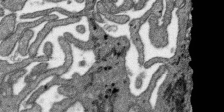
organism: Human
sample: Lung epithelial cells, uninfected (mock) control